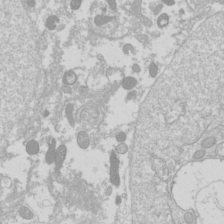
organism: Drosophila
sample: Cell division; meiosis; drosophila spermatocytes